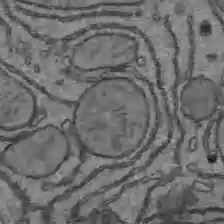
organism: C57BL Mouse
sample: Liver